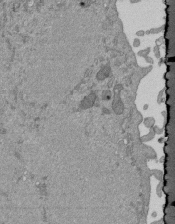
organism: Mouse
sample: ED-1 cell nuclei; centrioles